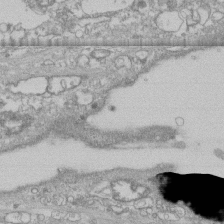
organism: Human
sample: CRL-1474